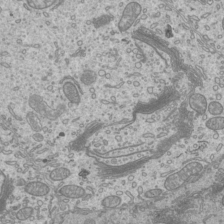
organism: Mouse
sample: Cilia; mouse epididymis